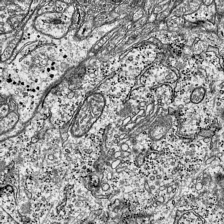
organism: Mouse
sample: Visual Cortex